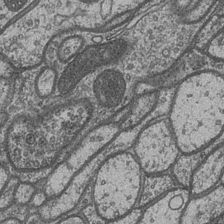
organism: Drosophila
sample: Optic medulla